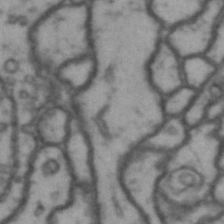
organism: Drosophila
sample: Brain